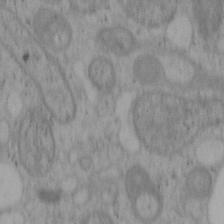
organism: Mouse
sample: OT-I killer T cells with ID8 ovarian cancer cells